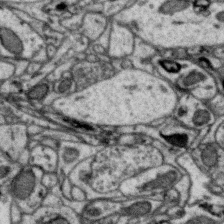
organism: Zebra finch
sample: Brain